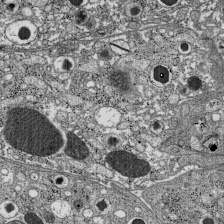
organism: C57BL Mouse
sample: Pancreatic islet